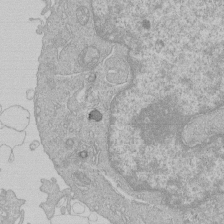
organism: Human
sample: Macrophage cells